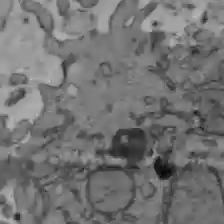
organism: C57BL Mouse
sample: Liver